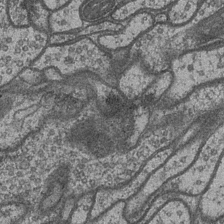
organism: Drosophila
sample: Optic medulla